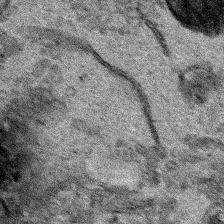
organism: Human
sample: Mitochondria in HCT116 cells